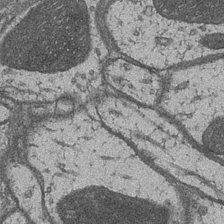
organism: Drosophila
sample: Optic medulla